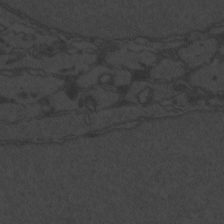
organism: Zebrafish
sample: Macrophage infected with Toxoplasma gondii